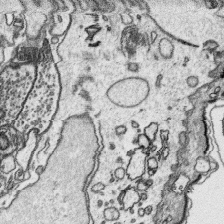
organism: Platynereis dumerilii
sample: Parapodia